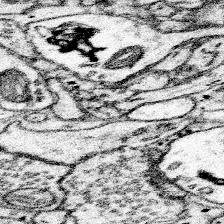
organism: Mouse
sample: Somatosensory cortex neuropil